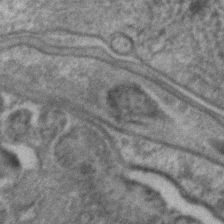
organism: C. elegans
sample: C. elegans embryo